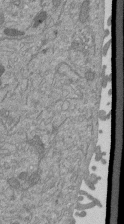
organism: Mouse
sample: ED-1 cell nuclei; centrioles